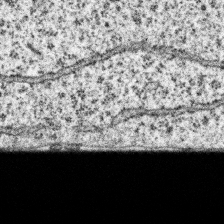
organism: Human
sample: HeLa cells